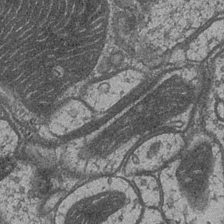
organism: Drosophila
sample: Optic medulla